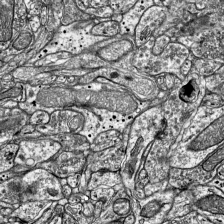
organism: Mouse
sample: Visual Cortex